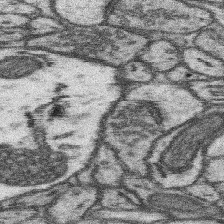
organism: Mouse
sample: Somatosensory cortex neuropil